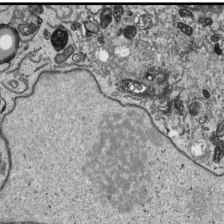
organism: Human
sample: Mitochondria in HCT116 cells